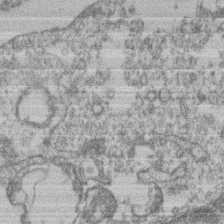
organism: Mouse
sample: T cell stromal cell synapse